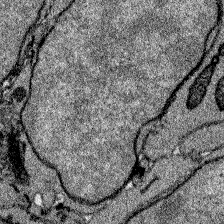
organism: Zebrafish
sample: Larval olfactory bulb